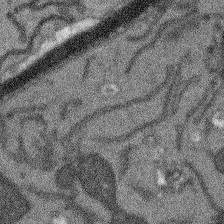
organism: Arabidopsis thaliana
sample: Root tip